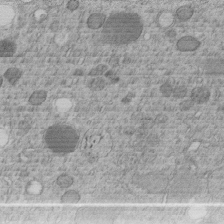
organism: C. elegans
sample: C. elegans embryo early stage